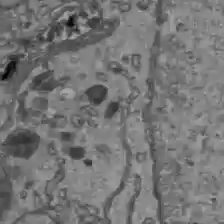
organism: C57BL Mouse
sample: Liver